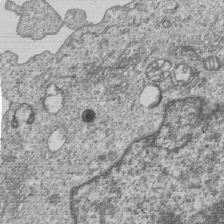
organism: Human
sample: MDA-MB-231 cells